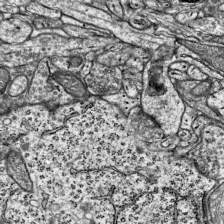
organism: Mouse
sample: Visual Cortex